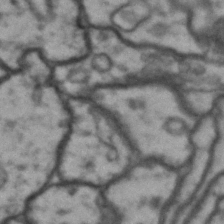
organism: Drosophila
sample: Brain